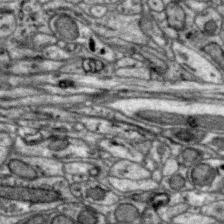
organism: Zebra finch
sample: Brain